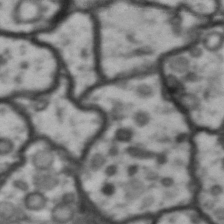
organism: Drosophila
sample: Brain